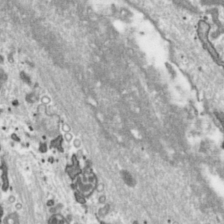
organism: Toxoplasma gondii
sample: Parasites in a vacuole inside a host cell